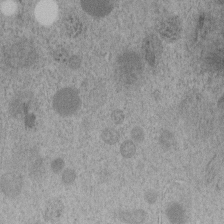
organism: C. elegans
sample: C. elegans embryo early stage